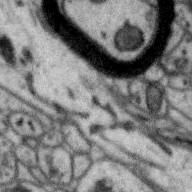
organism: Zebra finch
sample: Brain